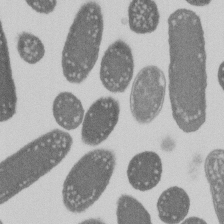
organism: E. coli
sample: Bacterial nucleoid